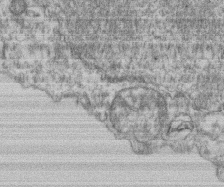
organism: Mouse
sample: T cell stromal cell synapse